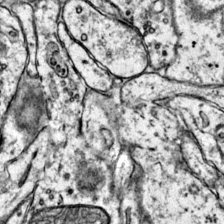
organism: Mouse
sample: Primary visual cortex